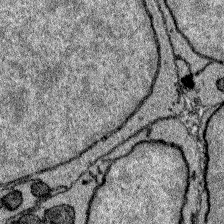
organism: Zebrafish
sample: Larval olfactory bulb